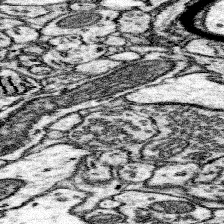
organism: Mouse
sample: Somatosensory cortex neuropil